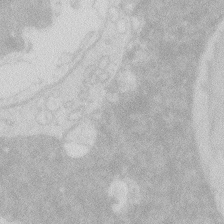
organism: Zebrafish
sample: Macrophage